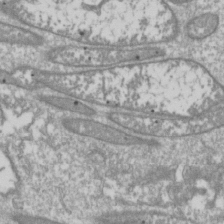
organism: Drosophila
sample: Cell division; meiosis; drosophila spermatocytes